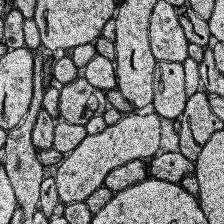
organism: Human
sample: Temporal Lobe